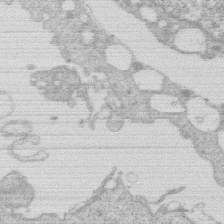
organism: Human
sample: Macrophage cells